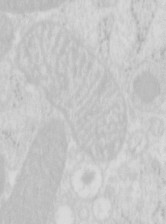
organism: Mouse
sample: Pancreas